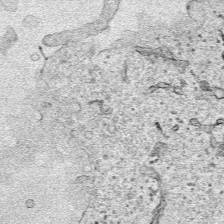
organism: Human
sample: Mitochondria in HCT116 cells